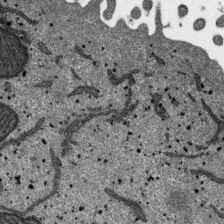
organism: Human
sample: Lung epithelial cells, uninfected (mock) control